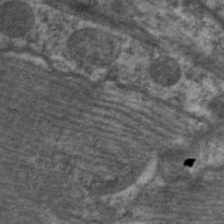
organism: C. elegans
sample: Pharynx